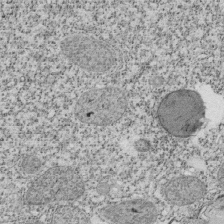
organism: Tetrahymena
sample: Cilia in tetrahymena